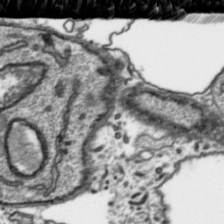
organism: Toxoplasma gondii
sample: Parasites in a vacuole inside a host cell